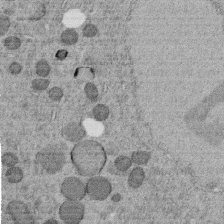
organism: C. elegans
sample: C. elegans embryo early stage